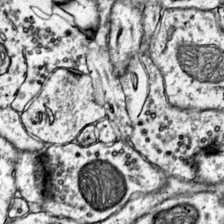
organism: Mouse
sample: Primary visual cortex